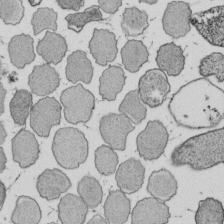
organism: E. coli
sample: Bacterial nucleoid